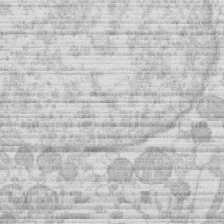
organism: Human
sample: Macrophage cells